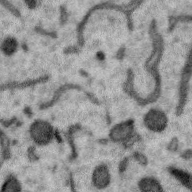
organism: Zebra finch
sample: Brain